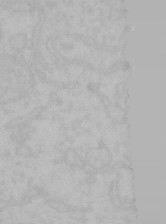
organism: Mouse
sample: Choroid plexus